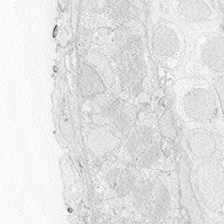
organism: Zebrafish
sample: Whole-Brain